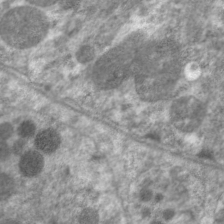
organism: C. elegans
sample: Pharynx